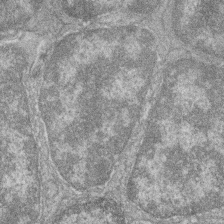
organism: Zebrafish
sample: Cilia; retinal pigment epithelium